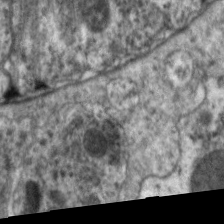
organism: C. elegans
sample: Pharynx